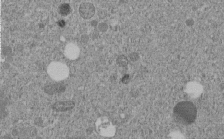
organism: C. elegans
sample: C. elegans embryo early stage